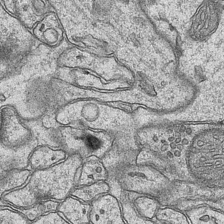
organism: Mouse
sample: CA1 Hippocampus